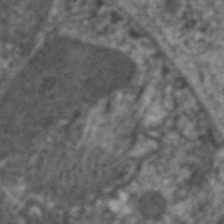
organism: C. elegans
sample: Pharynx